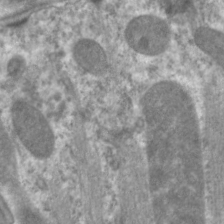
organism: C. elegans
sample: Pharynx